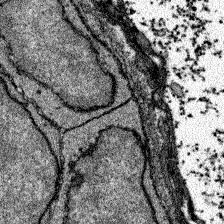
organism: Zebrafish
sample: Larval olfactory bulb